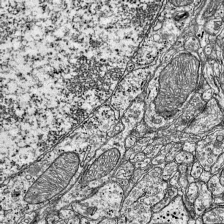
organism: Mouse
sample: Visual Cortex